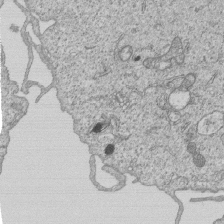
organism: Human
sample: MDA-MB-231 cells